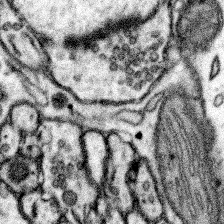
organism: Mouse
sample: Somatosensory cortex neuropil